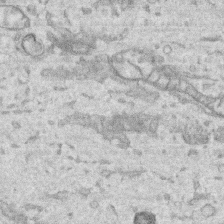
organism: Human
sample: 1205lu cells